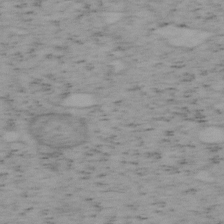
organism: Mouse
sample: OT-I killer T cells with ID8 ovarian cancer cells